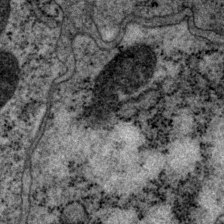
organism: P. pacificus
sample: Pharynx